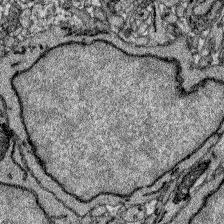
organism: Zebrafish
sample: Larval olfactory bulb